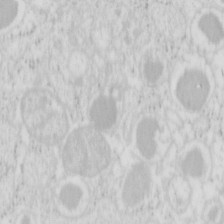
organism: Mouse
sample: Pancreas